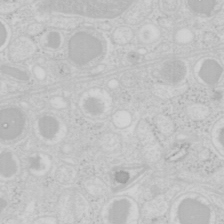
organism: Mouse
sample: Pancreas